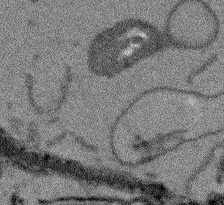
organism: Arabidopsis thaliana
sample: Root tip